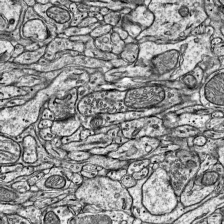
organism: Mouse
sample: Visual Cortex